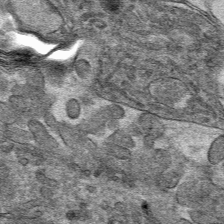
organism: Mouse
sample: Mouse hepatocytes